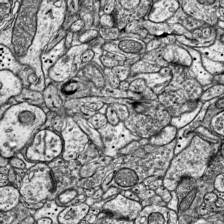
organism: Mouse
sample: Visual Cortex